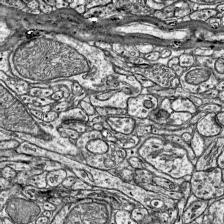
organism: Mouse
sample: Visual Cortex